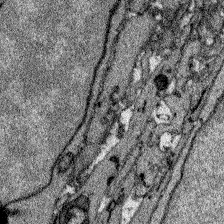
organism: Zebrafish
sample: Larval olfactory bulb